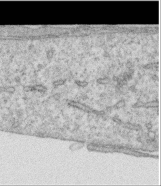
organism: Human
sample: Centriole in RPE cells